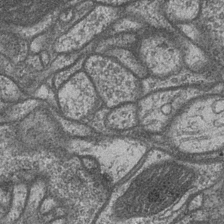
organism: Drosophila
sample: Optic medulla